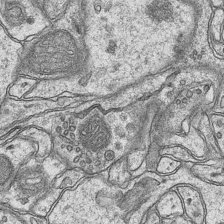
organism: Mouse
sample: CA1 Hippocampus